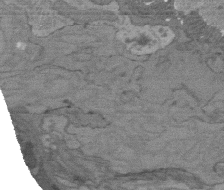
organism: C. elegans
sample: AFD neurons C. elegans